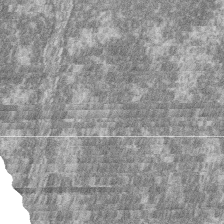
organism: Zebrafish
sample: Cilia; retinal pigment epithelium